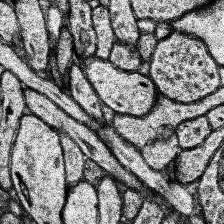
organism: Human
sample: Temporal Lobe